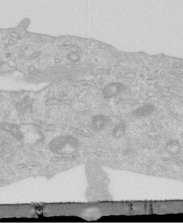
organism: Human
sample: Centriole in RPE cells